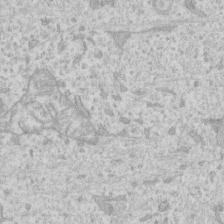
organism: Human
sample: Fibroblast cells